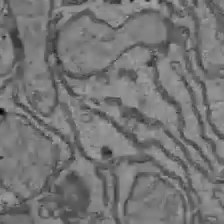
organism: C57BL Mouse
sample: Liver